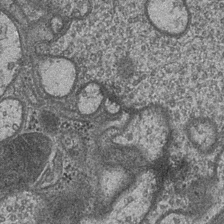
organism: Drosophila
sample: Optic medulla